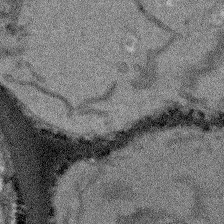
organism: Arabidopsis thaliana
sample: Root tip